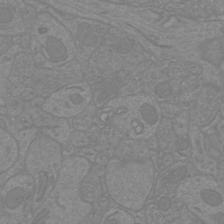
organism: Mouse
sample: Cortical neurons